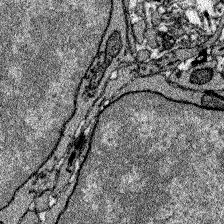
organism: Zebrafish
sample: Larval olfactory bulb